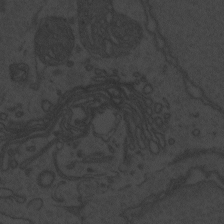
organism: Zebrafish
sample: Macrophage infected with Toxoplasma gondii